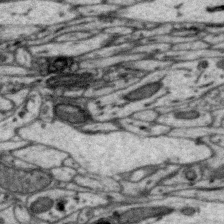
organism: Zebra finch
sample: Brain